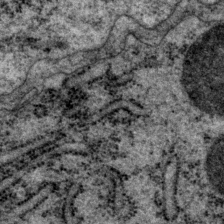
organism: P. pacificus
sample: Pharynx